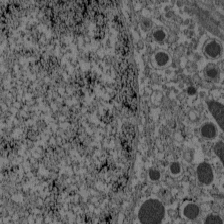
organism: C57BL Mouse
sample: Pancreatic islet